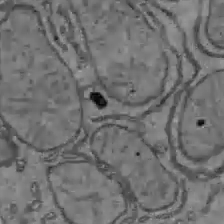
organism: C57BL Mouse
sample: Liver